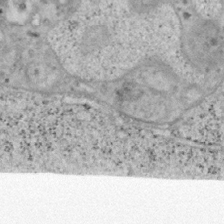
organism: Mouse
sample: OT-I killer T cells with ID8 ovarian cancer cells